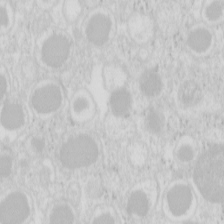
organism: Mouse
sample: Pancreas